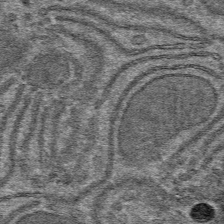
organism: Mouse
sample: Mouse hepatocytes